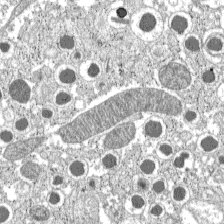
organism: C57BL Mouse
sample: Pancreatic islet